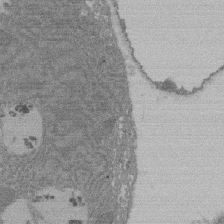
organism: Rat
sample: Salivary granule